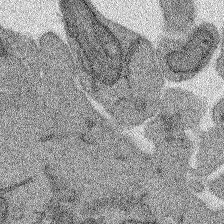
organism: Human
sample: HeLa cells